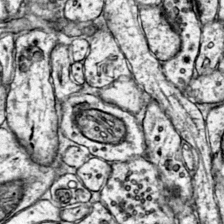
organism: Mouse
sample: Primary visual cortex